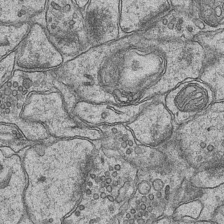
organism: Mouse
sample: CA1 Hippocampus